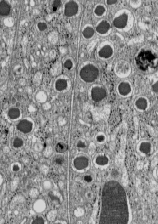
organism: C57BL Mouse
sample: Pancreatic islet